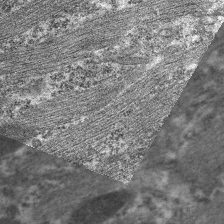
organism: C. elegans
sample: Pharynx